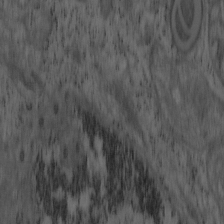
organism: Human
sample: HeLa cells